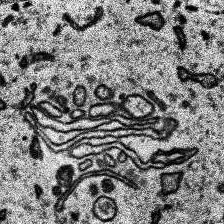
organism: Human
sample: Temporal Lobe